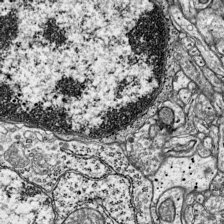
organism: Mouse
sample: Visual Cortex